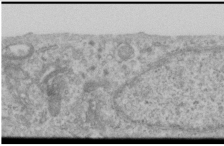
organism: Human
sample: Cilia; basal body in RPE cells